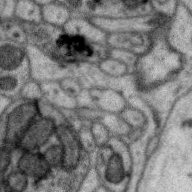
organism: Zebra finch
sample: Brain